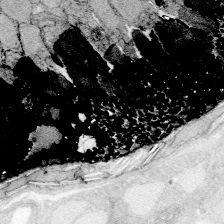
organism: Zebrafish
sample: Whole-Brain